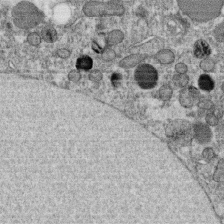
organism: C. elegans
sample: C. elegans oocyte; sperm cells